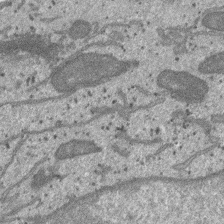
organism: Human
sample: Lung epithelial cells infected with SARS-CoV-2